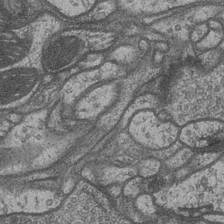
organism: Drosophila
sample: Optic medulla